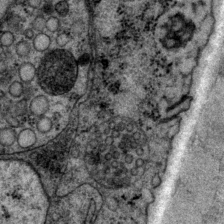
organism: P. pacificus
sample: Pharynx